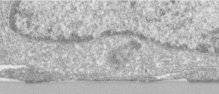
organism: Human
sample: Centriole in RPE cells